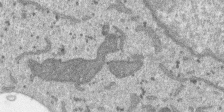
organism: Human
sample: Lung epithelial cells infected with SARS-CoV-2